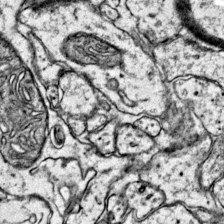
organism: Mouse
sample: Primary visual cortex